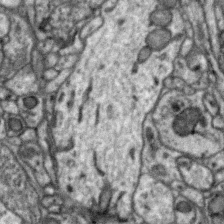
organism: Zebra finch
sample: Brain